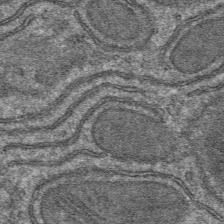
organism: Mouse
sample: Mouse hepatocytes